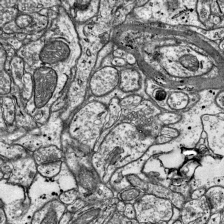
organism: Mouse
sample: Visual Cortex